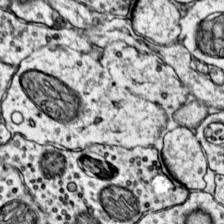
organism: Mouse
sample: Primary visual cortex